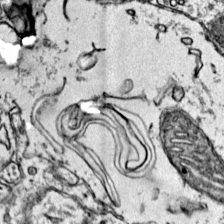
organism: Mouse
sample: Primary visual cortex